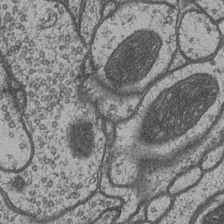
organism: Drosophila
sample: Optic medulla